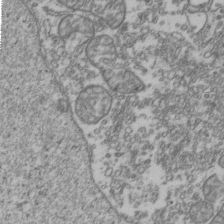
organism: Human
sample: Activated Jurkat CD4+ T cells